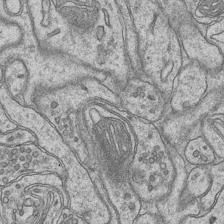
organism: Mouse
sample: CA1 Hippocampus